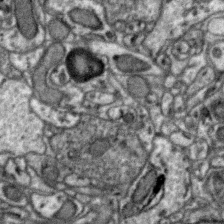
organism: Zebra finch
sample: Brain